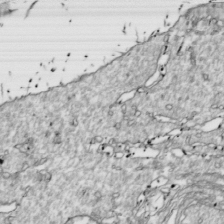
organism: Drosophila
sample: Cell division; meiosis; drosophila spermatocytes